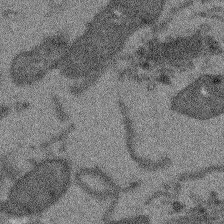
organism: Arabidopsis thaliana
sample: Root tip